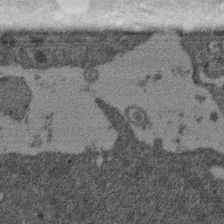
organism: Mouse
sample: Dividing mouse embryo 1 cell stage